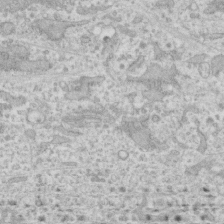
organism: Human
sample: CRL-1474